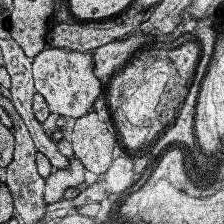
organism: Human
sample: Temporal Lobe